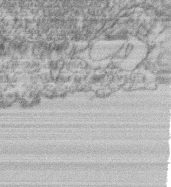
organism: Mouse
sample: T cell stromal cell synapse